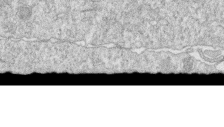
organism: Human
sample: HeLa cell HIV synapse